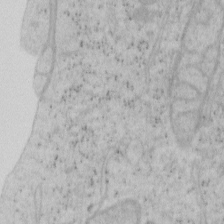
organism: Human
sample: HeLa cells